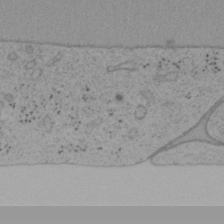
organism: Human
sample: HeLa cells